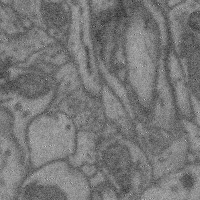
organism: Mouse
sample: Cerebral cortex